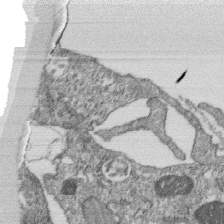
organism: African green monkey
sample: Vero E6 cells infected with SARS-CoV-2